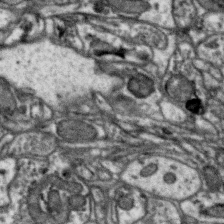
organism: Zebra finch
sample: Brain